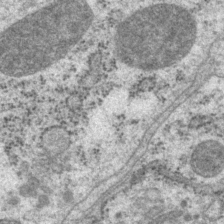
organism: P. pacificus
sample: Pharynx